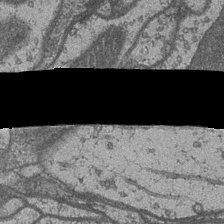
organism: Drosophila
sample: Optic medulla